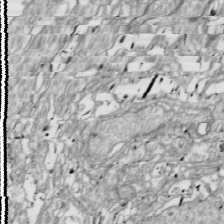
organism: Drosophila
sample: Cell division; meiosis; drosophila spermatocytes